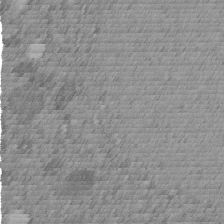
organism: C. elegans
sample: C. elegans embryo early stage